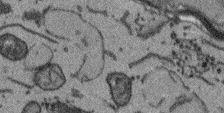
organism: Arabidopsis thaliana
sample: Root tip